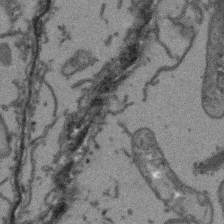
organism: Arabidopsis thaliana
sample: Root tip